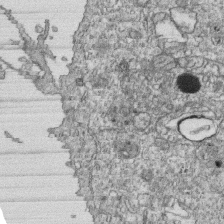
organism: Human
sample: HeLa cell HIV synapse